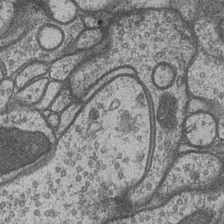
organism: Drosophila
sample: Optic medulla